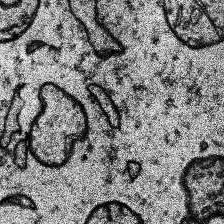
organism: Human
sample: Temporal Lobe